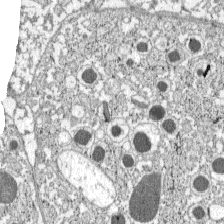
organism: C57BL Mouse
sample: Pancreatic islet